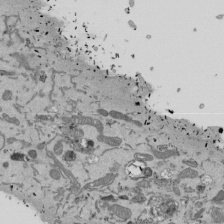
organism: Mouse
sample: ED-1 cell nuclei; centrioles